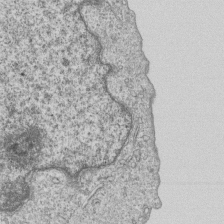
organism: Human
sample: MDA-MB-231 cells